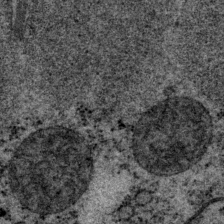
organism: P. pacificus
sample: Pharynx